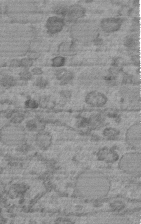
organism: C. elegans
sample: C. elegans embryo early stage